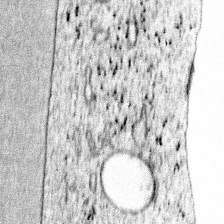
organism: Human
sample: HeLa cells